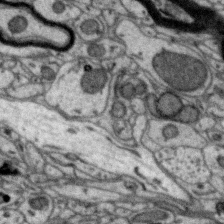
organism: Zebra finch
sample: Brain